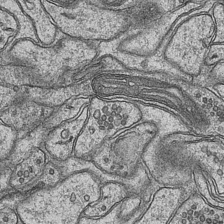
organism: Mouse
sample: CA1 Hippocampus